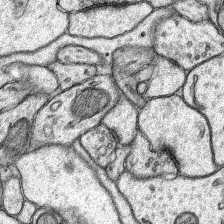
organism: Rat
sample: Hippocampus